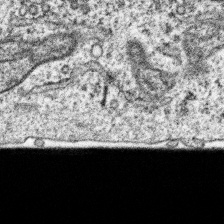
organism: Human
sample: HeLa cells